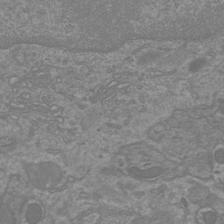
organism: Mouse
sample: Cortical neurons